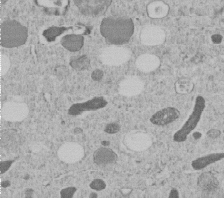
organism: C. elegans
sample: C. elegans embryo early stage